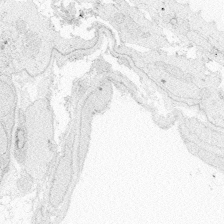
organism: Zebrafish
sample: Whole-Brain